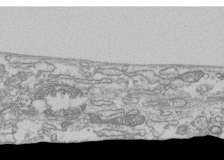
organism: Human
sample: Fibroblast cells